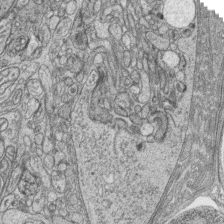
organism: Zebrafish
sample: synaptic ribbons in rod cells and cone cells